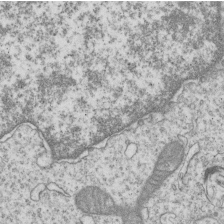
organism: Human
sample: MDA-MB-231 cells